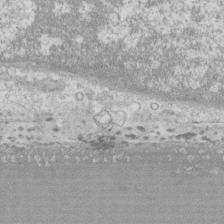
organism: Human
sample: CRL-1474